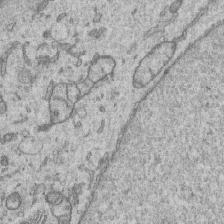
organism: Human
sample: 1205lu cells